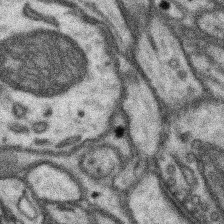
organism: Mouse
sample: Somatosensory cortex neuropil